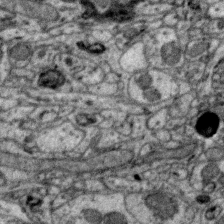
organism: Zebra finch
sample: Brain